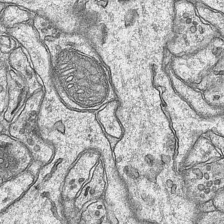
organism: Mouse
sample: CA1 Hippocampus